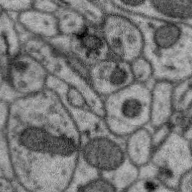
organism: Zebra finch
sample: Brain